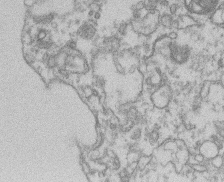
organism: Mouse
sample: T cell stromal cell synapse